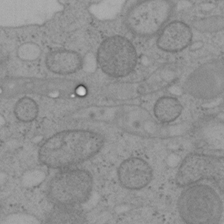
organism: Mouse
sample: OT-I killer T cells with ID8 ovarian cancer cells